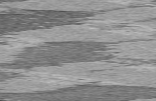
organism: C57BL Mouse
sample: Heart